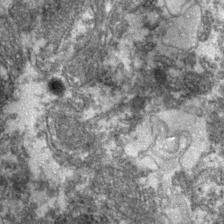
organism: Zebrafish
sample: Zebrafish embryo